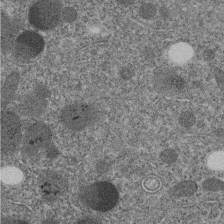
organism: C. elegans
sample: C. elegans embryo early stage